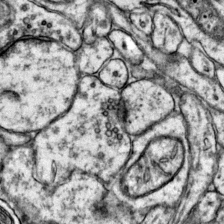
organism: Mouse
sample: Primary visual cortex